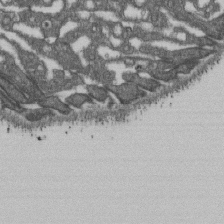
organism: Drosophila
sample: Nephrocyte